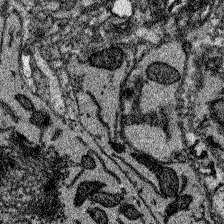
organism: Zebrafish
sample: Larval olfactory bulb